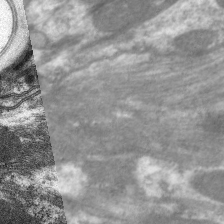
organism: C. elegans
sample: Pharynx